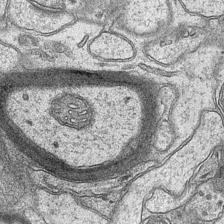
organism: Mouse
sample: CA1 Hippocampus